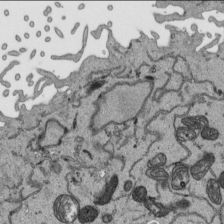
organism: Human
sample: Mitochondria in HCT116 cells